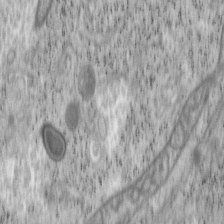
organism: Human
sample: HeLa cells